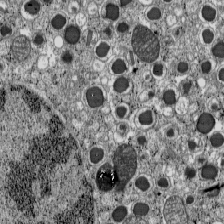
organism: C57BL Mouse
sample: Pancreatic islet